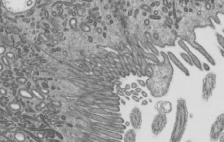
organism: Mouse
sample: Mouse epididymis efferent ductule cilia